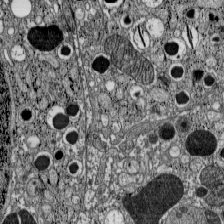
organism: C57BL Mouse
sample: Pancreatic islet